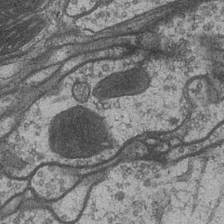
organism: Drosophila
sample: Optic medulla